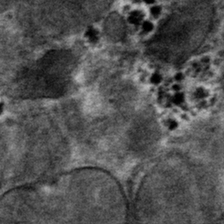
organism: Mouse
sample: Mouse hepatocytes